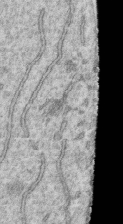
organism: Human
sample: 1205lu cells